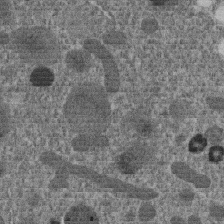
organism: C. elegans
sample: C. elegans embryo early stage